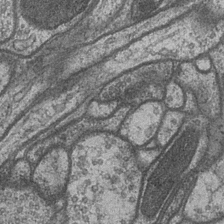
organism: Drosophila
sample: Optic medulla